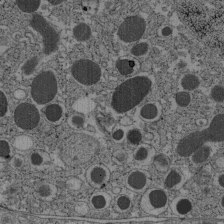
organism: C57BL Mouse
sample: Pancreatic islet